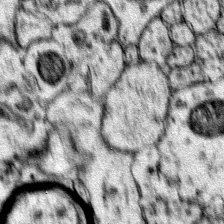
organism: Mouse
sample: Primary visual cortex